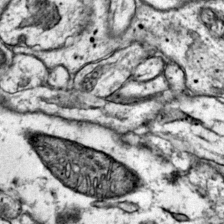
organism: Mouse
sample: Primary visual cortex